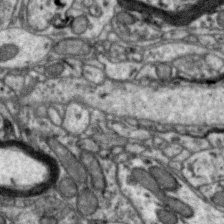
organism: Zebra finch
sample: Brain